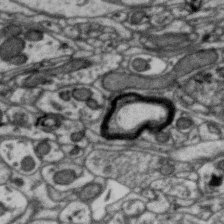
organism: Zebra finch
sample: Brain